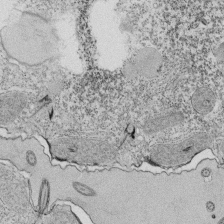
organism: Tetrahymena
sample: Cilia in tetrahymena